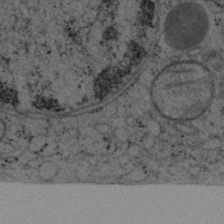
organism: Human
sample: HeLa cells